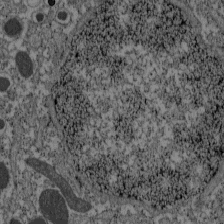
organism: C57BL Mouse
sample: Pancreatic islet